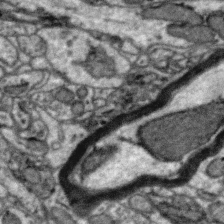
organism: Zebra finch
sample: Brain